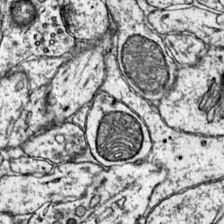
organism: Mouse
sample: Primary visual cortex